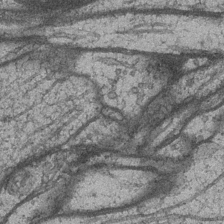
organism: Drosophila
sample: Optic medulla